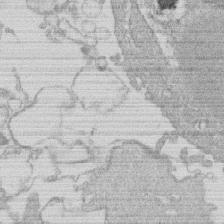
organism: Human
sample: Macrophage cells